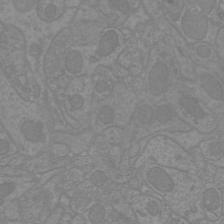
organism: Mouse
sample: Cortical neurons